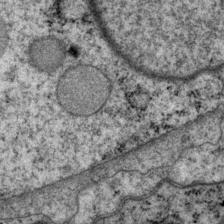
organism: P. pacificus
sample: Pharynx